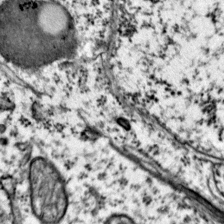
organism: Mouse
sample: Primary visual cortex